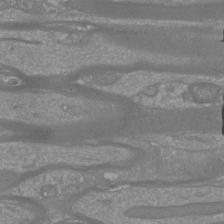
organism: Mouse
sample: Cortical neurons